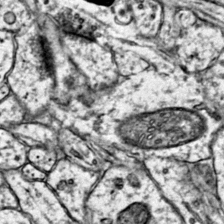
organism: Mouse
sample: Primary visual cortex